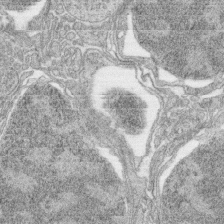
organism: Zebrafish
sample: synaptic ribbons in rod cells and cone cells